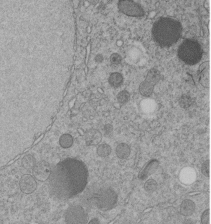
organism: C. elegans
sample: C. elegans embryo early stage